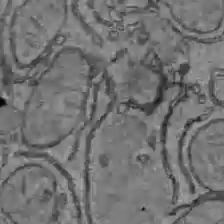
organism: C57BL Mouse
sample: Liver